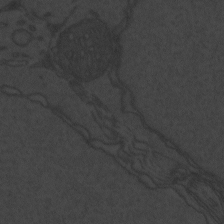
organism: Zebrafish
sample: Macrophage infected with Toxoplasma gondii